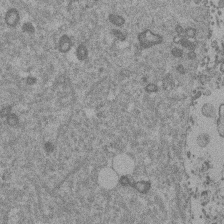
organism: Mouse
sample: Dividing mouse embryo 1 cell stage